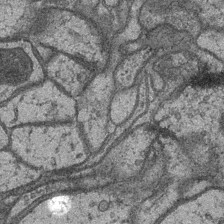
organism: Drosophila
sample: Optic medulla